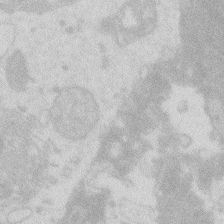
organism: Zebrafish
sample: Macrophage